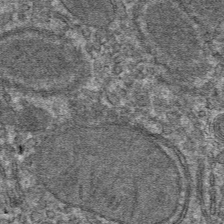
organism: Mouse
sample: Mouse hepatocytes